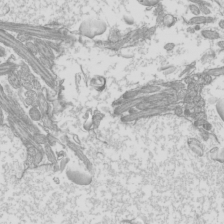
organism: Mouse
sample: Cilia; mouse epididymis